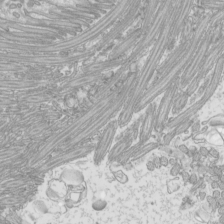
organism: Mouse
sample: Cilia; mouse epididymis